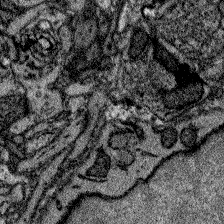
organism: Zebrafish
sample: Larval olfactory bulb